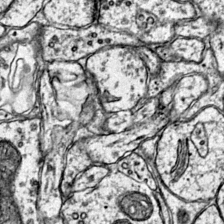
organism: Mouse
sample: Primary visual cortex